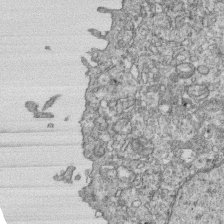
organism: Human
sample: HeLa cell HIV synapse